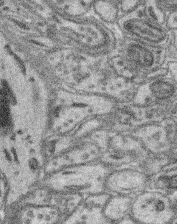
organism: Mouse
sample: Retina